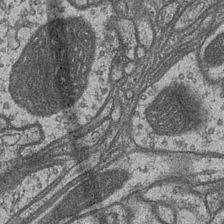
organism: Drosophila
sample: Optic medulla